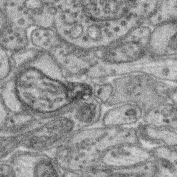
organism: Mouse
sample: Retina